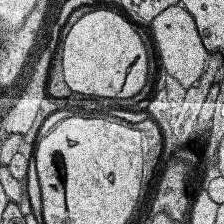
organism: Human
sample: Temporal Lobe